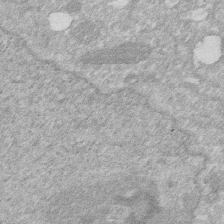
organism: Human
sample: HIV infected U937 cells